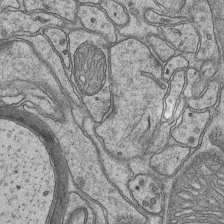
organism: Mouse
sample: CA1 Hippocampus